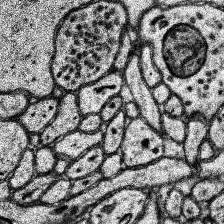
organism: Human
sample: Temporal Lobe